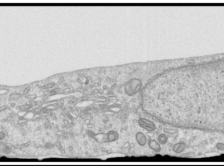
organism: Human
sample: Centriole in RPE cells